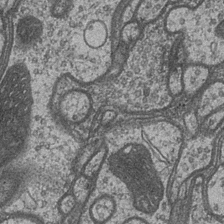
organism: Drosophila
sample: Optic medulla